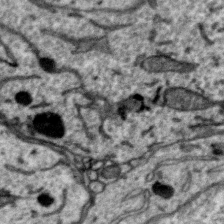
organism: Zebra finch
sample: Brain